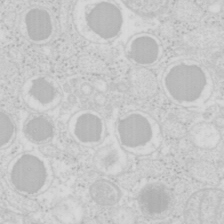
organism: Mouse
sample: Pancreas